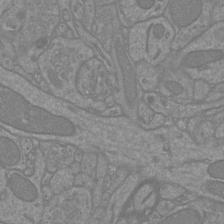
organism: Mouse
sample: Cortical neurons